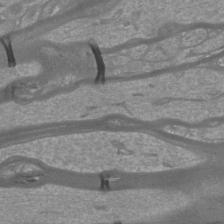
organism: Mouse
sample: Cortical neurons